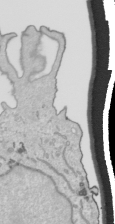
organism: Human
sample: Mitochondria in HCT116 cells